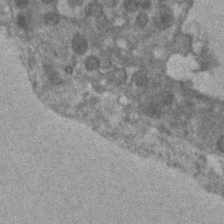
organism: Human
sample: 1205lu cells